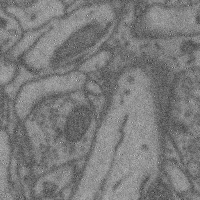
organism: Mouse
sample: Cerebral cortex